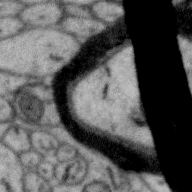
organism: Zebra finch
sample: Brain